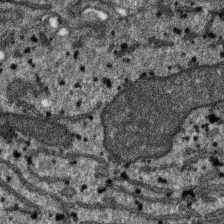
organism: Human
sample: Lung epithelial cells infected with SARS-CoV-2